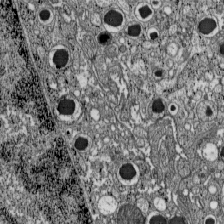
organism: C57BL Mouse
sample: Pancreatic islet